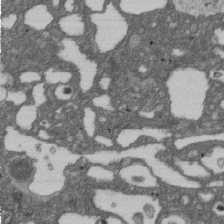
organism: Drosophila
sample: Nephrocyte